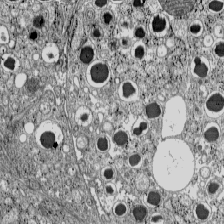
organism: C57BL Mouse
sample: Pancreatic islet